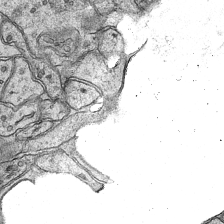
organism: Mouse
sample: CA1 Hippocampus